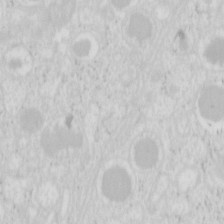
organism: Mouse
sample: Pancreas